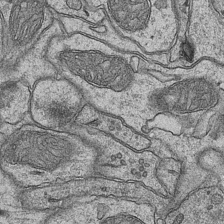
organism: Mouse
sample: CA1 Hippocampus